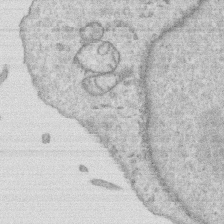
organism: Human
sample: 1205lu cells